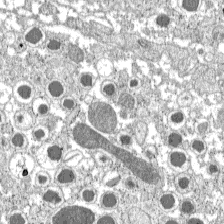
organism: C57BL Mouse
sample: Pancreatic islet